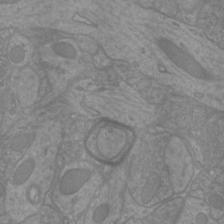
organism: Mouse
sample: Cortical neurons